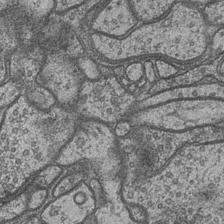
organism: Drosophila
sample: Optic medulla